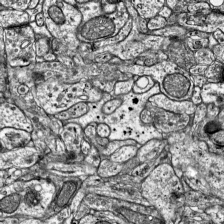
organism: Mouse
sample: Visual Cortex